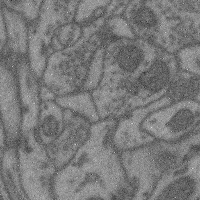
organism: Mouse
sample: Cerebral cortex